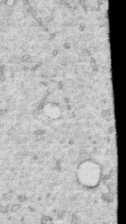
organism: Human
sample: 1205lu cells